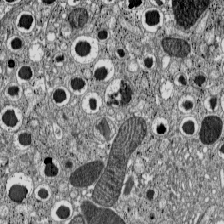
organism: C57BL Mouse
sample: Pancreatic islet